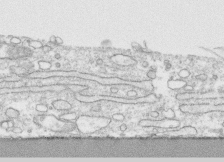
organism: Human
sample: CRL-1474